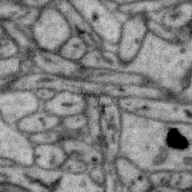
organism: Zebra finch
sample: Brain